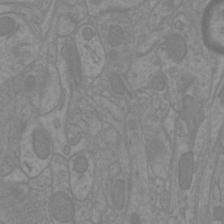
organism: Mouse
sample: Cortical neurons